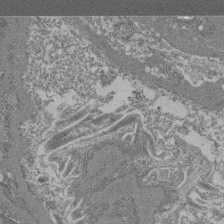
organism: Mouse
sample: Glomerulus